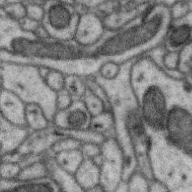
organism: Zebra finch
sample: Brain